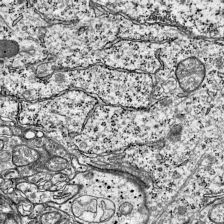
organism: Mouse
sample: Visual Cortex